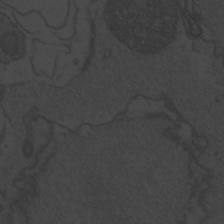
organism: Zebrafish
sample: Macrophage infected with Toxoplasma gondii